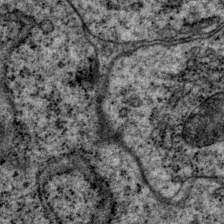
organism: P. pacificus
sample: Pharynx